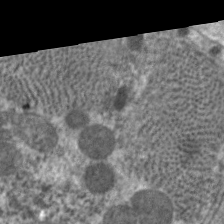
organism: C. elegans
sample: Pharynx